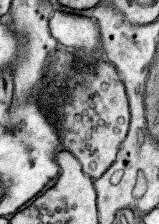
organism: Mouse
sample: Somatosensory cortex neuropil